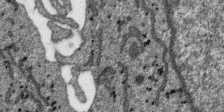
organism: Human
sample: Lung epithelial cells infected with SARS-CoV-2